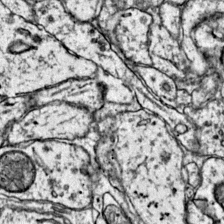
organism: Mouse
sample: Primary visual cortex